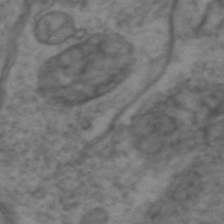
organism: Zebrafish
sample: Zebrafish embryo